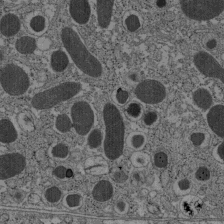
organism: C57BL Mouse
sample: Pancreatic islet